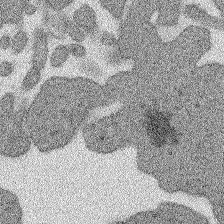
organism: Human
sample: HeLa cells